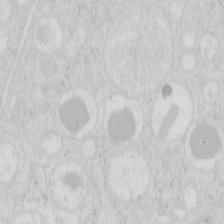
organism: Mouse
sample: Pancreas